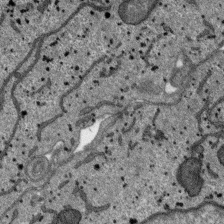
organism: Human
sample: Lung epithelial cells, uninfected (mock) control